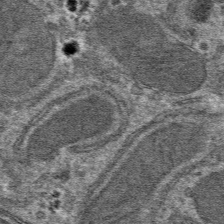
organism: Mouse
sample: Mouse hepatocytes